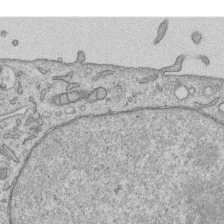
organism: Human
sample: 1205lu cells